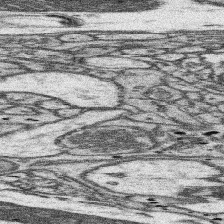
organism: Mouse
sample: Somatosensory cortex neuropil